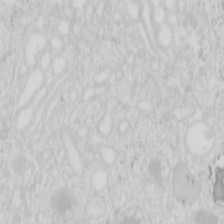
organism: Mouse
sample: Pancreas